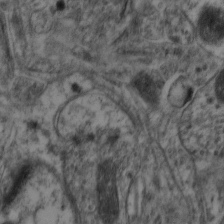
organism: Mouse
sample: Neocortex